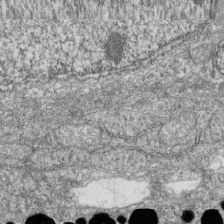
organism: Zebrafish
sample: Cilia; retinal pigment epithelium